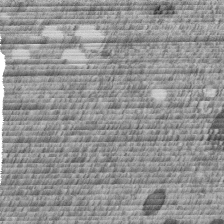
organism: C. elegans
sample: C. elegans embryo early stage